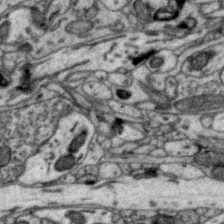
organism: Zebra finch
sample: Brain